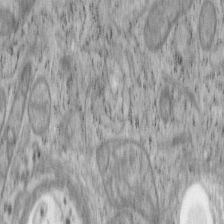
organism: Human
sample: HeLa cells